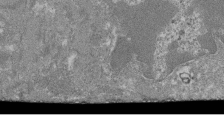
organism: Mouse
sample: Glomerulus